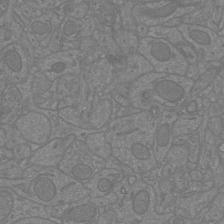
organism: Mouse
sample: Cortical neurons